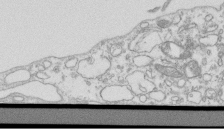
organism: Mouse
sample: Macrophages